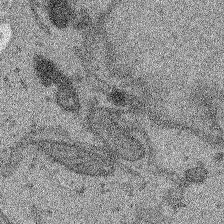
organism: Human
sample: HeLa cells